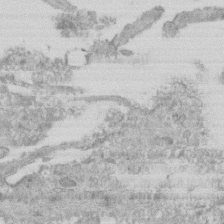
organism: Mouse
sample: Centriole in ependymal cells